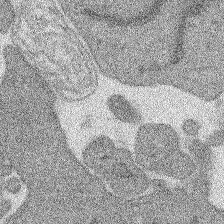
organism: Human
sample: HeLa cells